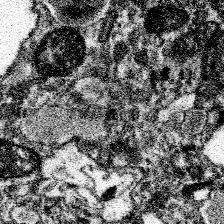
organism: Spongilla lacustris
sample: Neuroid cell